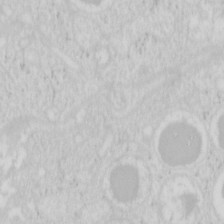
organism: Mouse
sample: Pancreas